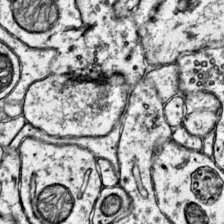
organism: Mouse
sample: Primary visual cortex